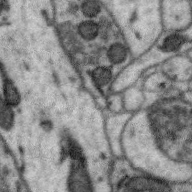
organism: Zebra finch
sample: Brain